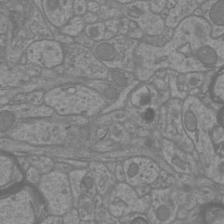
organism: Mouse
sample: Cortical neurons